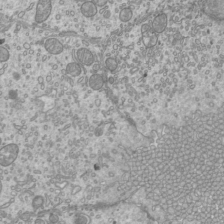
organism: Mouse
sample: Cilia; mouse epididymis